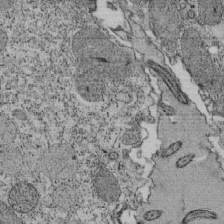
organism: Tetrahymena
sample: Cilia in tetrahymena